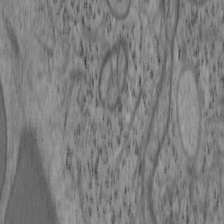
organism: Human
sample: HeLa cells